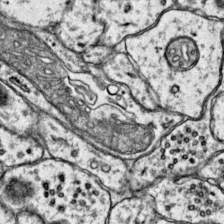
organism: Mouse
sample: Primary visual cortex